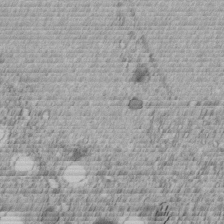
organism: C. elegans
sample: C. elegans embryo early stage